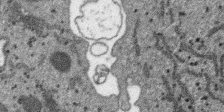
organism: Human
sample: Lung epithelial cells infected with SARS-CoV-2